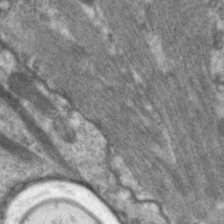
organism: C. elegans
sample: Pharynx